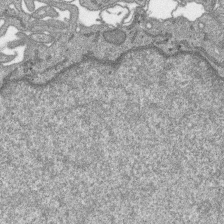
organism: Human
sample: Lung epithelial cells infected with SARS-CoV-2